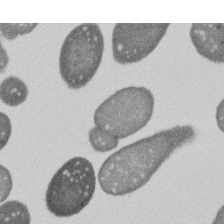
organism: E. coli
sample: Bacterial nucleoid